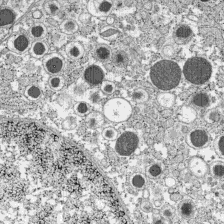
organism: C57BL Mouse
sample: Pancreatic islet